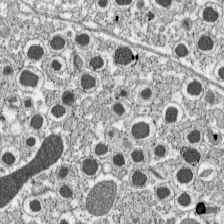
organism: C57BL Mouse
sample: Pancreatic islet